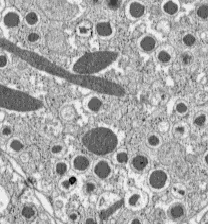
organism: C57BL Mouse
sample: Pancreatic islet